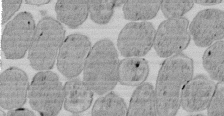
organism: E. coli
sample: Bacterial nucleoid